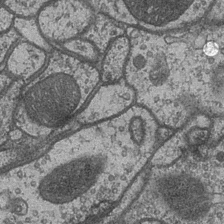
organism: Drosophila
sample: Optic medulla